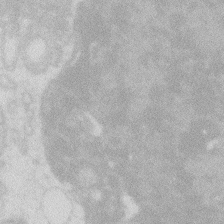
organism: Zebrafish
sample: Macrophage